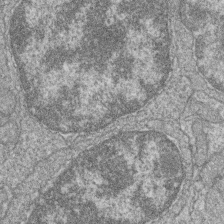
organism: Zebrafish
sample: Cilia; retinal pigment epithelium